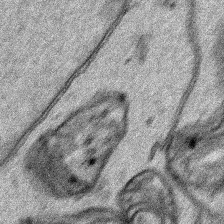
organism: Human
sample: Mitochondria in HCT116 cells